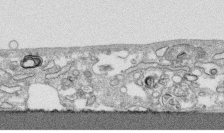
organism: Human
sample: CRL-1474